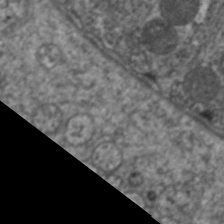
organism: C. elegans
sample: Pharynx